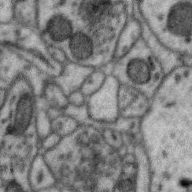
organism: Zebra finch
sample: Brain